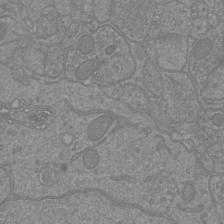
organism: Mouse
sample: Cortical neurons